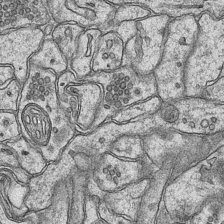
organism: Mouse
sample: CA1 Hippocampus